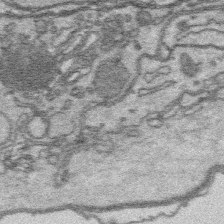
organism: Platynereis dumerilii